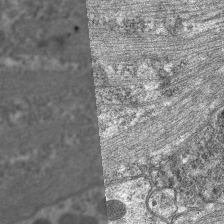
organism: C. elegans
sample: Pharynx